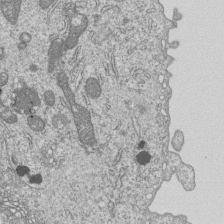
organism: Human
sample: MDA-MB-231 cells